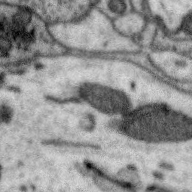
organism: Zebra finch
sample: Brain